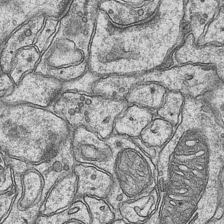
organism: Mouse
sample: CA1 Hippocampus